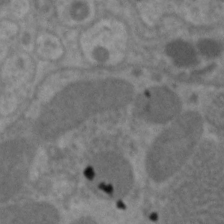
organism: C. elegans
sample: Pharynx